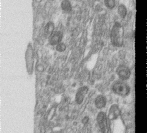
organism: Human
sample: Centriole in RPE cells